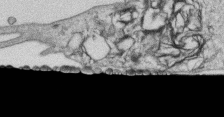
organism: Human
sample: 1205lu cells